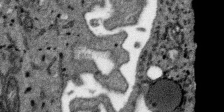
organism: Human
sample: Lung epithelial cells, uninfected (mock) control